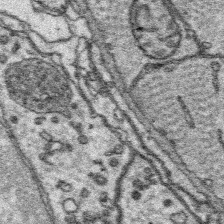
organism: Platynereis dumerilii